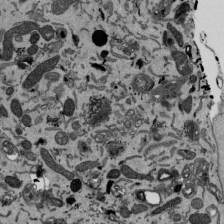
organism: Mouse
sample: ED-1 cell nuclei; centrioles